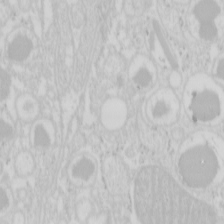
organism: Mouse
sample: Pancreas